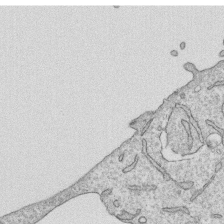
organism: Human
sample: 1205lu cells